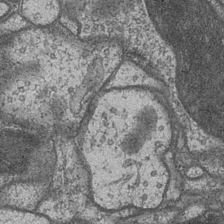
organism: Drosophila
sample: Optic medulla